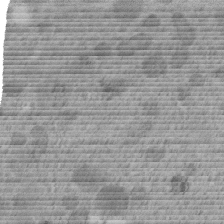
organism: C. elegans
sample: C. elegans embryo early stage